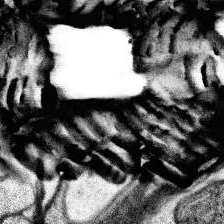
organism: Human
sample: Temporal Lobe